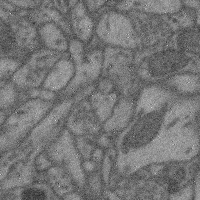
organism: Mouse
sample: Cerebral cortex